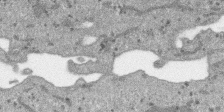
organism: Human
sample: Lung epithelial cells infected with SARS-CoV-2